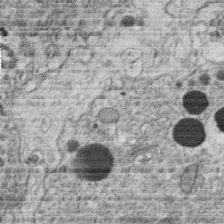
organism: C. elegans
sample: C. elegans oocyte; sperm cells